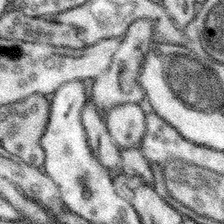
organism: Mouse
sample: Somatosensory cortex neuropil